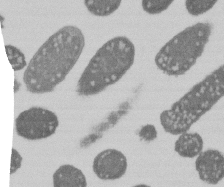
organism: E. coli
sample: Bacterial nucleoid